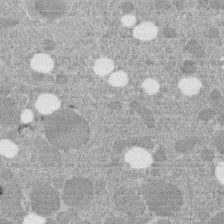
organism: C. elegans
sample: C. elegans embryo early stage